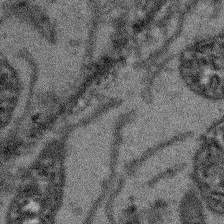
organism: Arabidopsis thaliana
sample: Root tip